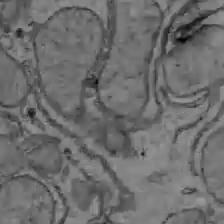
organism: C57BL Mouse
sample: Liver